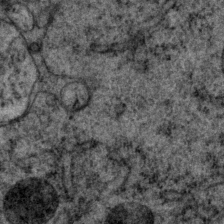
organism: P. pacificus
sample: Pharynx